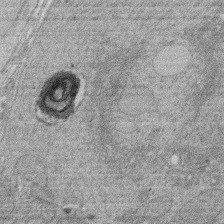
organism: Rat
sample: Salivary granule